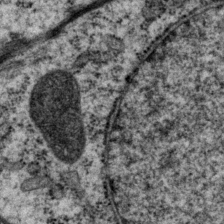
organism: P. pacificus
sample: Pharynx